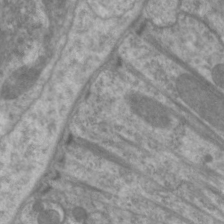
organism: C. elegans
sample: Pharynx